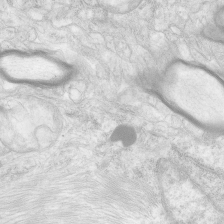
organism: Human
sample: Neocortex